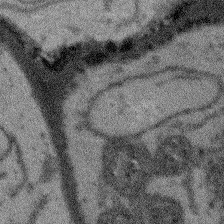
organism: Arabidopsis thaliana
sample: Root tip